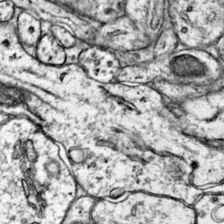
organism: Mouse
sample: Primary visual cortex